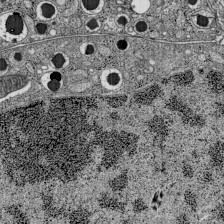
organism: C57BL Mouse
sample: Pancreatic islet